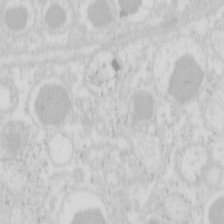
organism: Mouse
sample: Pancreas